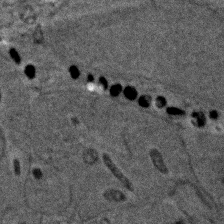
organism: Zebrafish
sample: Zebrafish embryo